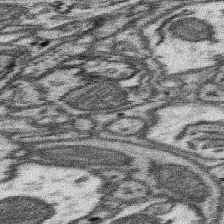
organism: Mouse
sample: Somatosensory cortex neuropil